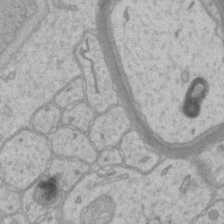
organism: Mouse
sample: CA1 Hippocampus